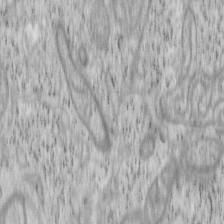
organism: Human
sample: HeLa cells